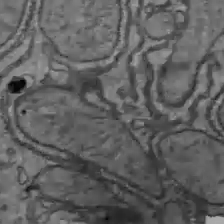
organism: C57BL Mouse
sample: Liver